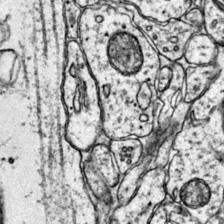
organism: Mouse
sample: Primary visual cortex